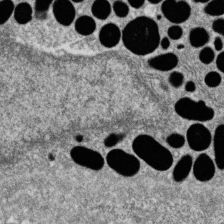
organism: Zebrafish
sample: Cilia; retinal pigment epithelium